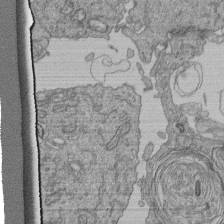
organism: Human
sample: Retinal organoid Rod and Cone cells